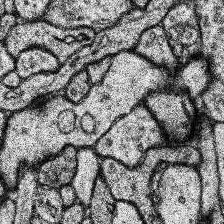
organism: Human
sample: Temporal Lobe